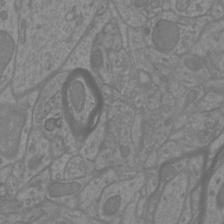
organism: Mouse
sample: Cortical neurons